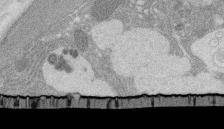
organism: Rat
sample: Salivary granule